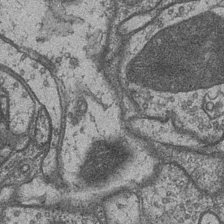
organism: Drosophila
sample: Optic medulla